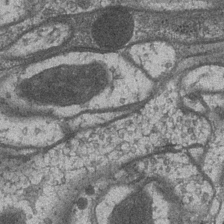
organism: Drosophila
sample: Optic medulla